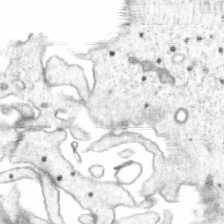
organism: Human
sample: HeLa cells